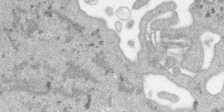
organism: Human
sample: Lung epithelial cells infected with SARS-CoV-2